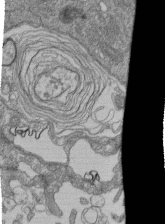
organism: Human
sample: Retinal organoid Rod and Cone cells